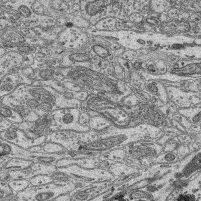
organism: Mouse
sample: Retina